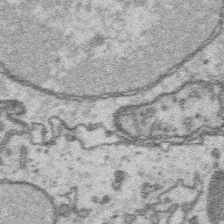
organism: Platynereis dumerilii